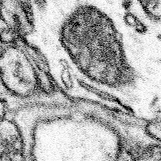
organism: Mouse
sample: Somatosensory cortex neuropil